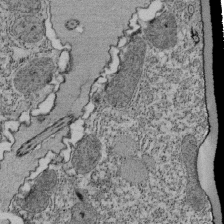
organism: Tetrahymena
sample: Cilia in tetrahymena